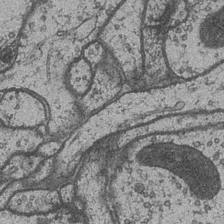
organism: Drosophila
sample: Optic medulla